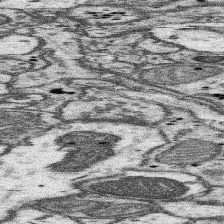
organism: Mouse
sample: Somatosensory cortex neuropil